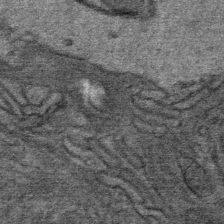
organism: Mouse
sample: Mouse Salivary gland